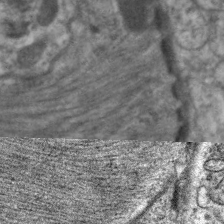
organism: C. elegans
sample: Pharynx